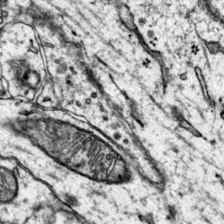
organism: Mouse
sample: Primary visual cortex